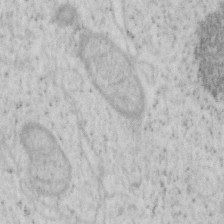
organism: Human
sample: HeLa cells